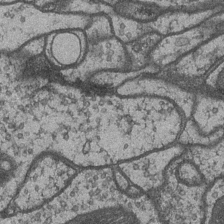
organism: Drosophila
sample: Optic medulla